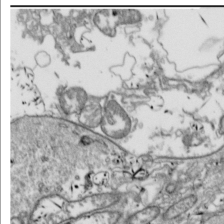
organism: Drosophila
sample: Cell division; meiosis; drosophila spermatocytes